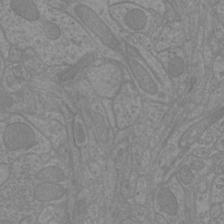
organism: Mouse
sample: Cortical neurons